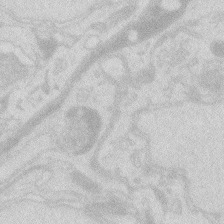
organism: Zebrafish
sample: Macrophage